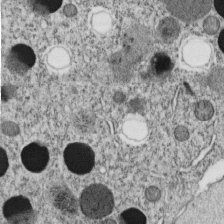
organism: C. elegans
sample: C. elegans embryo early stage